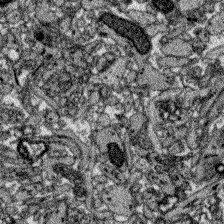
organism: Zebrafish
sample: Larval olfactory bulb